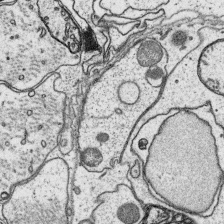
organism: Platynereis dumerilii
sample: Parapodia